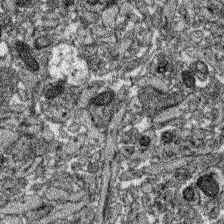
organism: Zebrafish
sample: Larval olfactory bulb